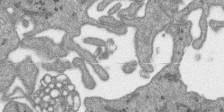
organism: Human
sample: Lung epithelial cells infected with SARS-CoV-2